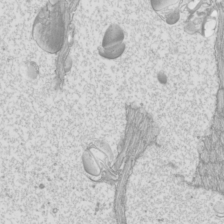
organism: Mouse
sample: Cilia; mouse epididymis